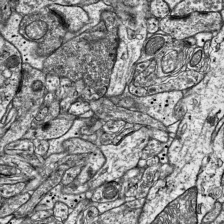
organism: Mouse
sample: Visual Cortex